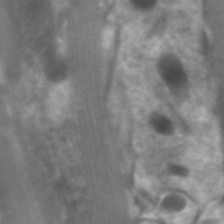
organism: C. elegans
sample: Pharynx